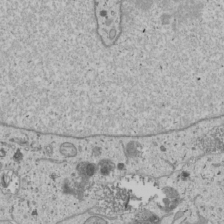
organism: Human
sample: Mitochondria in U2OS cells